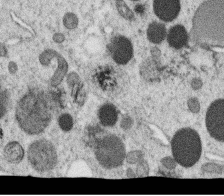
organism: C. elegans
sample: C. elegans oocyte; sperm cells